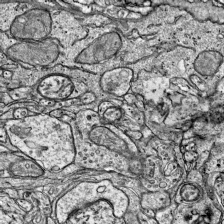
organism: Mouse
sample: Visual Cortex